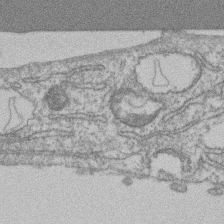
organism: Mouse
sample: T cell stromal cell synapse